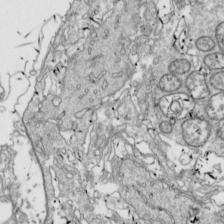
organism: Drosophila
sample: Cell division; meiosis; drosophila spermatocytes